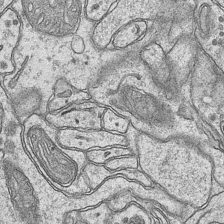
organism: Mouse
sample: CA1 Hippocampus